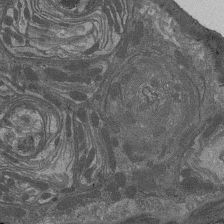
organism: Drosophila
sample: Antenna